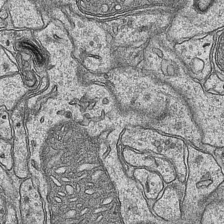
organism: Mouse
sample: CA1 Hippocampus